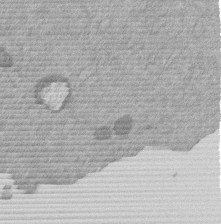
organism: Mouse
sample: Dividing mouse embryo 1 cell stage